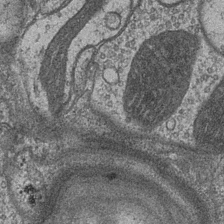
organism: Drosophila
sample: Optic medulla